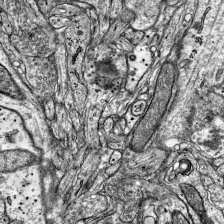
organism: Mouse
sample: Visual Cortex